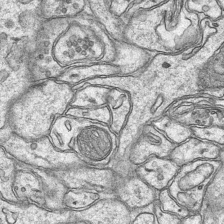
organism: Mouse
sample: CA1 Hippocampus